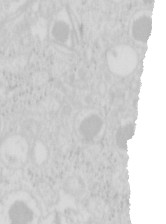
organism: Mouse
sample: Pancreas